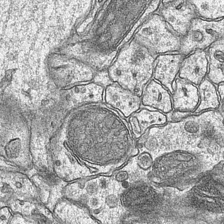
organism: Mouse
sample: CA1 Hippocampus